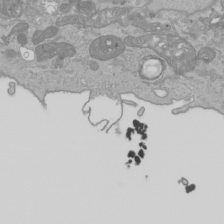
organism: Human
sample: Mitochondria in HCT116 cells